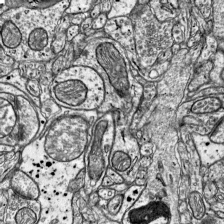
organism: Mouse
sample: Visual Cortex